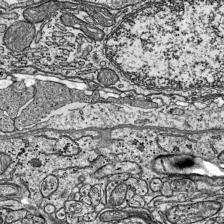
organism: Mouse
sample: Visual Cortex